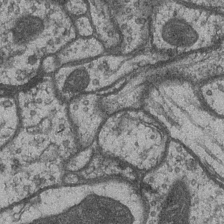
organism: Drosophila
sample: Optic medulla